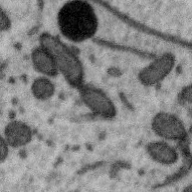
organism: Zebra finch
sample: Brain